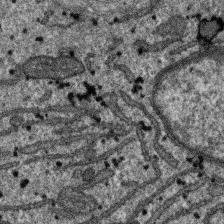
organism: Human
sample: Lung epithelial cells infected with SARS-CoV-2